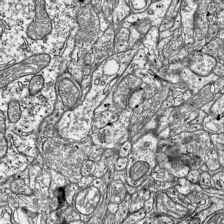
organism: Mouse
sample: Visual Cortex